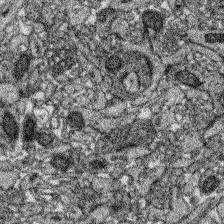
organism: Zebrafish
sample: Larval olfactory bulb